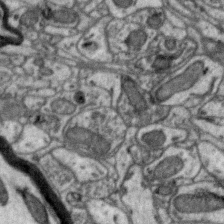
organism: Zebra finch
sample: Brain